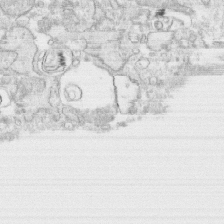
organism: Human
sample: CRL-1474